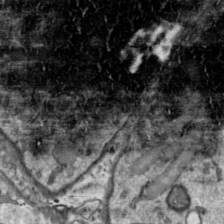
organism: Toxoplasma gondii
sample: Parasites in a vacuole inside a host cell